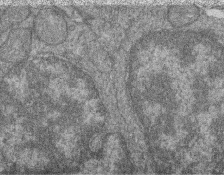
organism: Zebrafish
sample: Cilia; retinal pigment epithelium